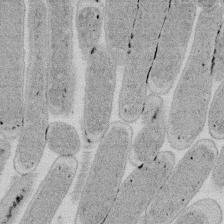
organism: E. coli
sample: Bacterial nucleoid